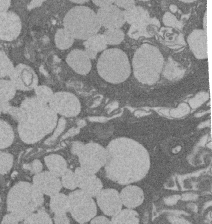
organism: Rat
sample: Salivary granule